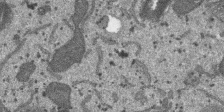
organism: Human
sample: Lung epithelial cells infected with SARS-CoV-2